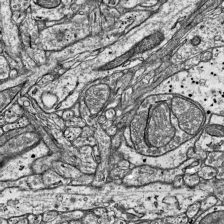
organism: Mouse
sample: Visual Cortex